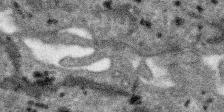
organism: Human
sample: Lung epithelial cells infected with SARS-CoV-2